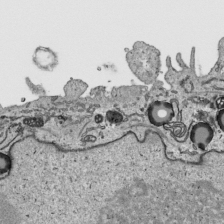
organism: Human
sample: Mitochondria in HCT116 cells